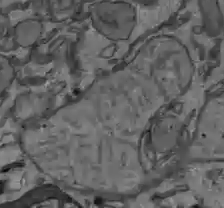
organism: C57BL Mouse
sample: Liver